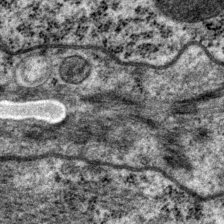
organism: P. pacificus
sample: Pharynx